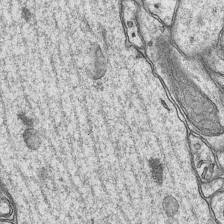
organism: Mouse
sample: CA1 Hippocampus